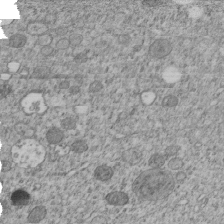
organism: C. elegans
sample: C. elegans embryo early stage